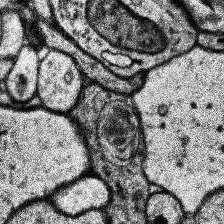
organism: Human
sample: Temporal Lobe